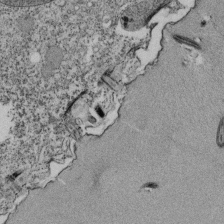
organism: Tetrahymena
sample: Cilia in tetrahymena